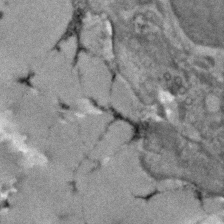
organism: Human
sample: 1205lu cells